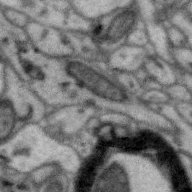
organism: Zebra finch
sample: Brain